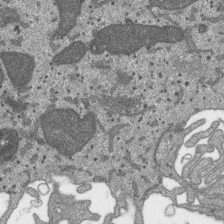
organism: Human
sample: Lung epithelial cells infected with SARS-CoV-2